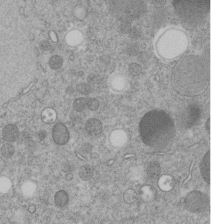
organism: C. elegans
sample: C. elegans embryo early stage